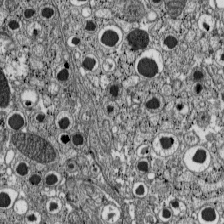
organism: C57BL Mouse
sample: Pancreatic islet